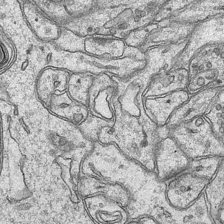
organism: Mouse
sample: CA1 Hippocampus